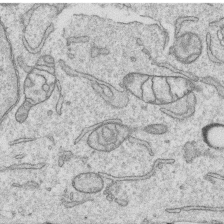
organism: Human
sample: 1205lu cells